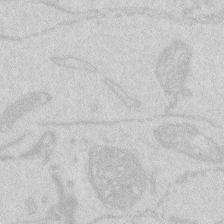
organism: Zebrafish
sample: Macrophage